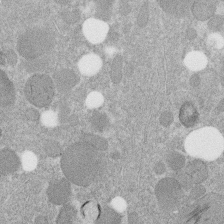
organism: C. elegans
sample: C. elegans embryo early stage